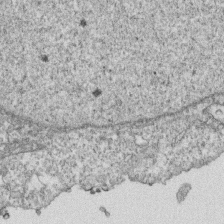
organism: Human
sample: HeLa cell HIV synapse